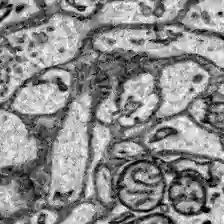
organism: Zebrafish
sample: Brain